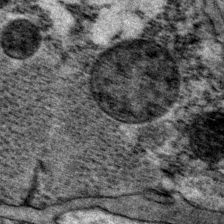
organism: P. pacificus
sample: Pharynx